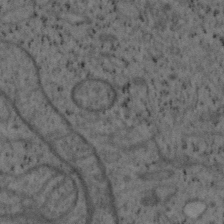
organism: Human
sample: HeLa cells